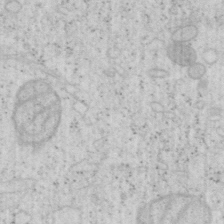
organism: Human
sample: HeLa cells